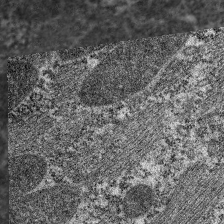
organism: C. elegans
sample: Pharynx